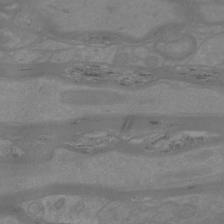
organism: Mouse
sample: Cortical neurons